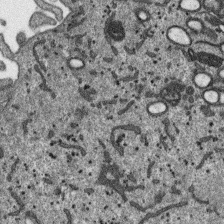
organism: Human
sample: Lung epithelial cells infected with SARS-CoV-2